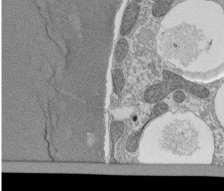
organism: Tetrahymena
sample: Cilia in tetrahymena